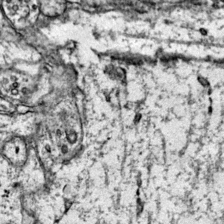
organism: Mouse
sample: Primary visual cortex